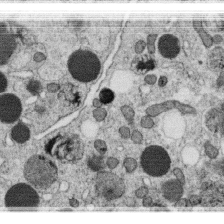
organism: C. elegans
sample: C. elegans oocyte; sperm cells